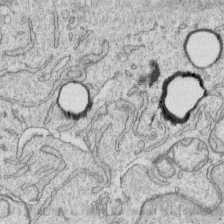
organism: Human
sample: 1205lu cells